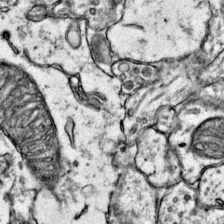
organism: Mouse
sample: Primary visual cortex